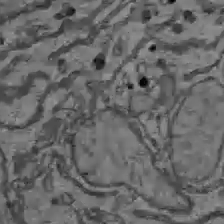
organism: C57BL Mouse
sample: Liver